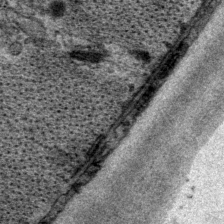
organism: P. pacificus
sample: Pharynx